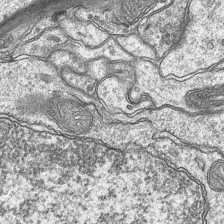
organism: Mouse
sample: CA1 Hippocampus